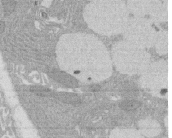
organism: Rat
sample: Salivary granule